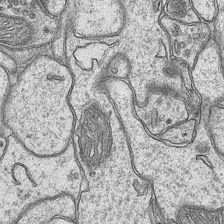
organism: Mouse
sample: CA1 Hippocampus